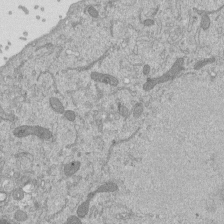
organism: Mouse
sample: ED-1 cell nuclei; centrioles